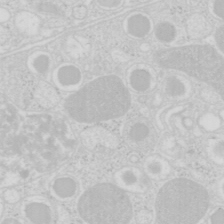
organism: Mouse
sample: Pancreas